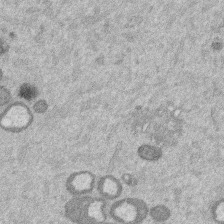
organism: Mouse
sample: Dividing mouse embryo 1 cell stage